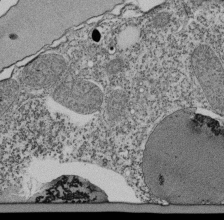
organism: Tetrahymena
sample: Cilia in tetrahymena